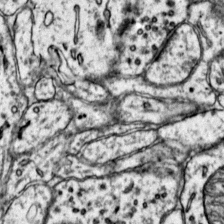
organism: Mouse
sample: Primary visual cortex